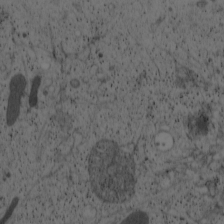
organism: African green monkey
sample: COS-7 cells